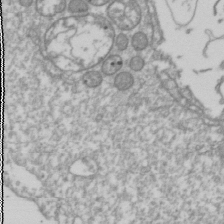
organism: Drosophila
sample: Cell division; meiosis; drosophila spermatocytes